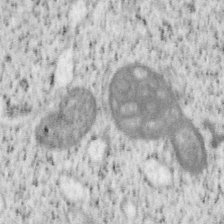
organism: Mouse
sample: OT-I killer T cells with ID8 ovarian cancer cells